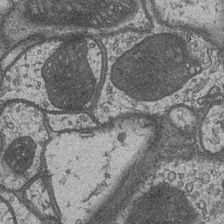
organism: Drosophila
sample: Optic medulla